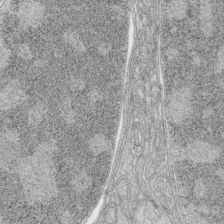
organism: Zebrafish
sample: synaptic ribbons in rod cells and cone cells